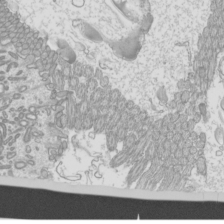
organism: Mouse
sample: Cilia; mouse epididymis